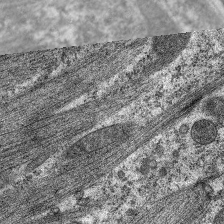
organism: C. elegans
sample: Pharynx